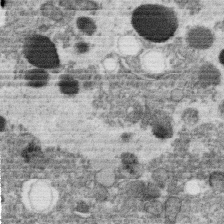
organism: C. elegans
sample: C. elegans oocyte; sperm cells